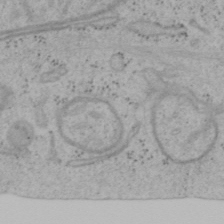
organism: Human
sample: HeLa cells